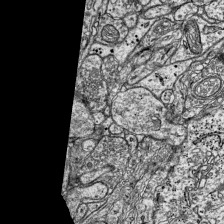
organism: Mouse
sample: Visual Cortex